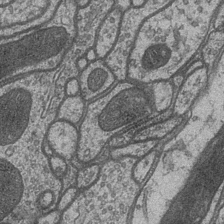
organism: Drosophila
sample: Optic medulla